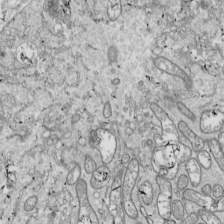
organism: Drosophila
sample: Cell division; meiosis; drosophila spermatocytes